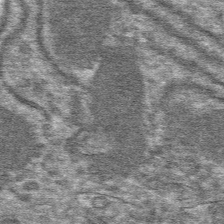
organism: Mouse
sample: Mouse hepatocytes